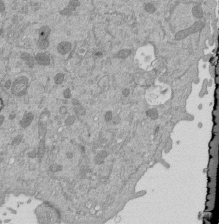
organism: Mouse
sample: ED-1 cell nuclei; centrioles